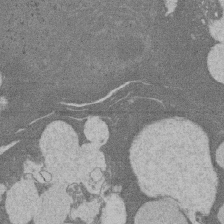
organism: Rat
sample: Salivary granule